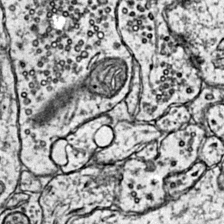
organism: Mouse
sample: Primary visual cortex